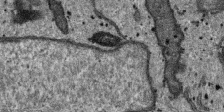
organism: Human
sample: Lung epithelial cells, uninfected (mock) control